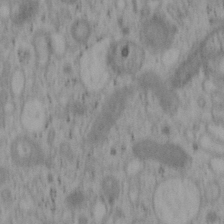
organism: Mouse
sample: OT-I killer T cells with ID8 ovarian cancer cells